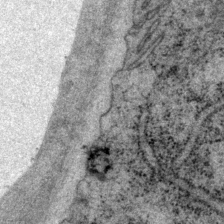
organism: P. pacificus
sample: Pharynx